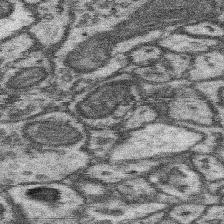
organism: Mouse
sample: Somatosensory cortex neuropil